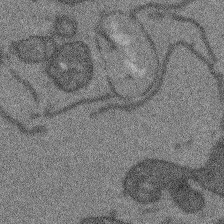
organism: Arabidopsis thaliana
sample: Root tip